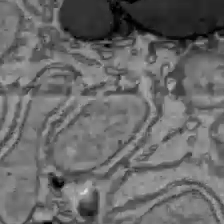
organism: C57BL Mouse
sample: Liver